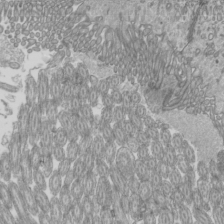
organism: Mouse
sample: Cilia; mouse epididymis